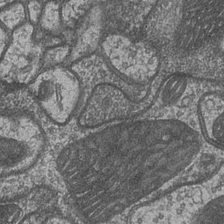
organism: Drosophila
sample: Optic medulla